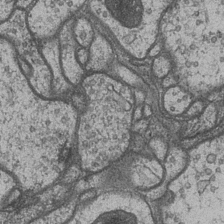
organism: Drosophila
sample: Optic medulla